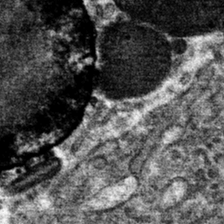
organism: Mouse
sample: Mouse hepatocytes